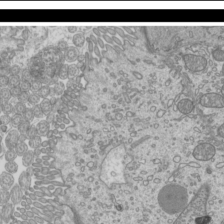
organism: Mouse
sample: Cilia; mouse epididymis